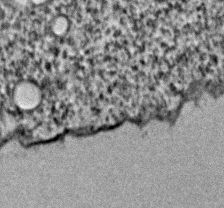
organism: C. elegans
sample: C. elegans embryo